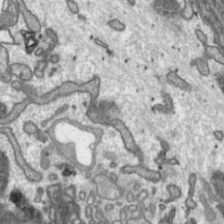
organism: Toxoplasma gondii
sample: Parasites in a vacuole inside a host cell